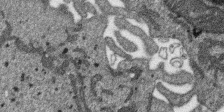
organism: Human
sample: Lung epithelial cells infected with SARS-CoV-2